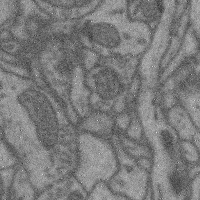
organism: Mouse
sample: Cerebral cortex